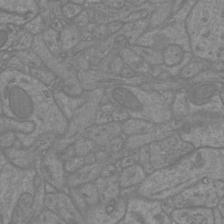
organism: Mouse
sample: Cortical neurons